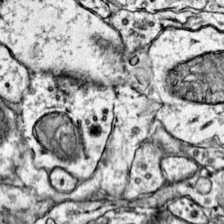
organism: Mouse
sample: Primary visual cortex